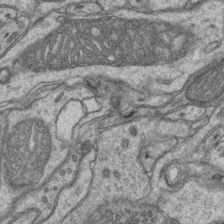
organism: Mouse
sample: CA1 Hippocampus